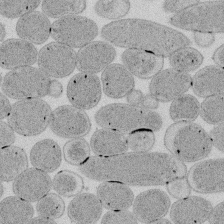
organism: E. coli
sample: Bacterial nucleoid